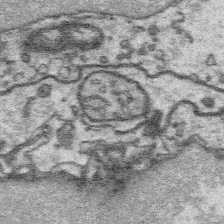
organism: Platynereis dumerilii